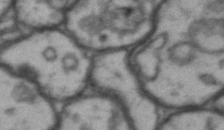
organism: Drosophila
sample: Brain